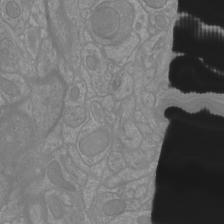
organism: Mouse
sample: Cortical neurons